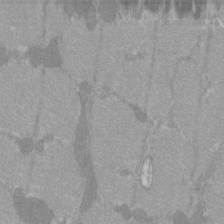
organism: C57BL Mouse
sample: Tibialis anterior muscle cell